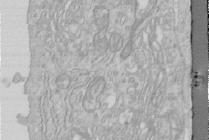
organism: Human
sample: Centriole in RPE cells